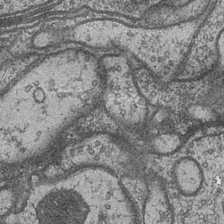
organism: Drosophila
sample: Optic medulla